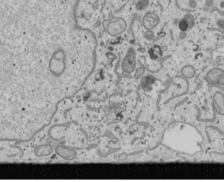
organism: Human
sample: Mitochondria in U2OS cells